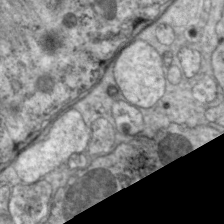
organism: C. elegans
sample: Pharynx